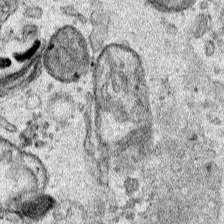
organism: Human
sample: Mitochondria in HCT116 cells